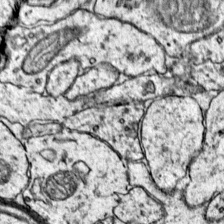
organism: Mouse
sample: Primary visual cortex